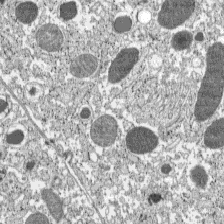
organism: C57BL Mouse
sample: Pancreatic islet